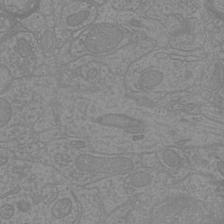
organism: Mouse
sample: Cortical neurons